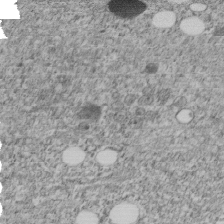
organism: C. elegans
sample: C. elegans embryo early stage